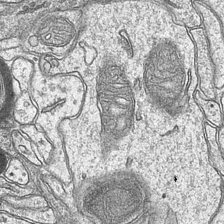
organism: Mouse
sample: CA1 Hippocampus